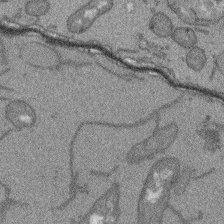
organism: Arabidopsis thaliana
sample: Root tip